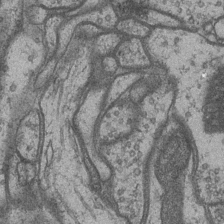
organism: Drosophila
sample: Optic medulla